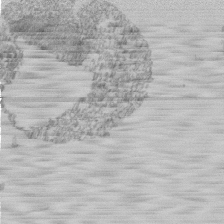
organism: Mouse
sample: Activated Pmel transgenic CD8+ T Cells